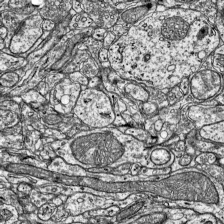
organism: Mouse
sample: Visual Cortex